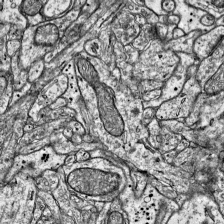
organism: Mouse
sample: Visual Cortex